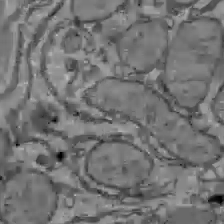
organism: C57BL Mouse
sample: Liver